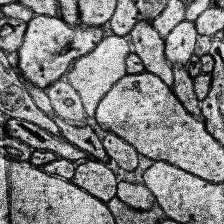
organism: Human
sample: Temporal Lobe